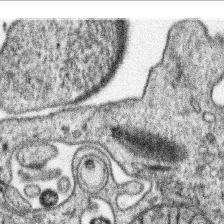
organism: Human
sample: HeLa cells